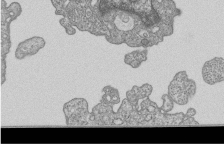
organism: Human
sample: MDA-MB-231 cells